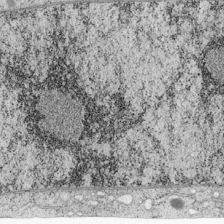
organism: African green monkey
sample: COS-7 cells